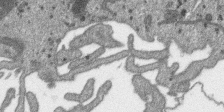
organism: Human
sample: Lung epithelial cells infected with SARS-CoV-2